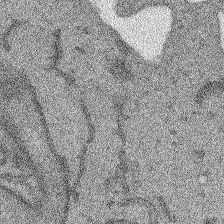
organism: Human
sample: HeLa cells